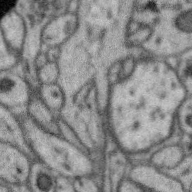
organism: Zebra finch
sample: Brain